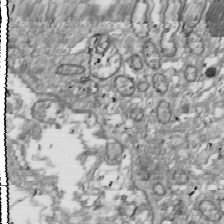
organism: Drosophila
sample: Cell division; meiosis; drosophila spermatocytes